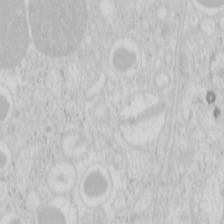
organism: Mouse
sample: Pancreas